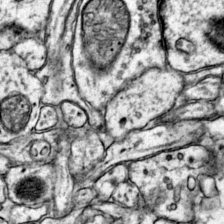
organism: Mouse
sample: Primary visual cortex